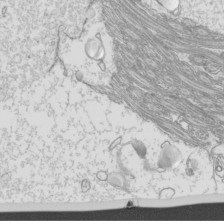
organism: Mouse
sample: Cilia; mouse epididymis